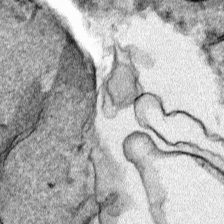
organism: Human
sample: Mitochondria in HCT116 cells